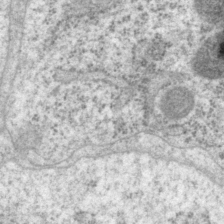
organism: P. pacificus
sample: Pharynx